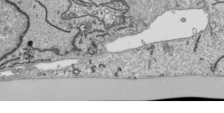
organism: Human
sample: Mitochondria in HCT116 cells